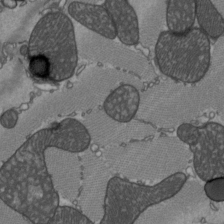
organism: C57BL Mouse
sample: Heart